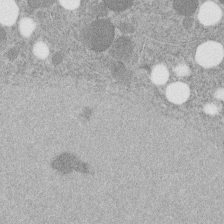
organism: C. elegans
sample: C. elegans embryo early stage